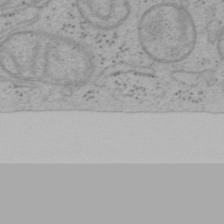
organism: Human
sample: HeLa cells